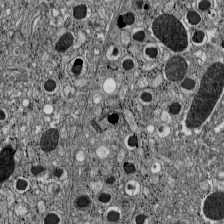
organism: C57BL Mouse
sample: Pancreatic islet